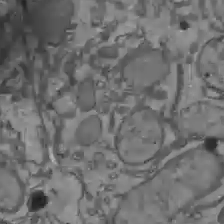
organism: C57BL Mouse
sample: Liver